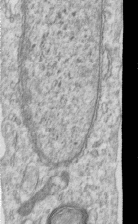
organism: Human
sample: Centriole in RPE cells